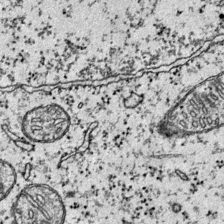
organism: Mouse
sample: Primary visual cortex